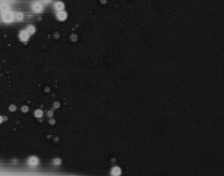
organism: Mouse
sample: Cancer cell death in ED-1 cells